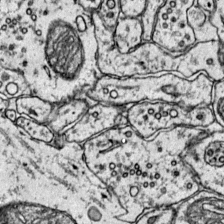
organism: Mouse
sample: Primary visual cortex